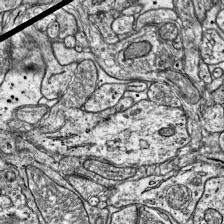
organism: Mouse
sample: Visual Cortex